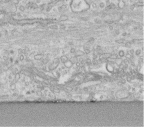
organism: Human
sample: Centriole in fibroblast cells